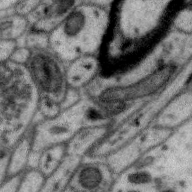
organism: Zebra finch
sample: Brain